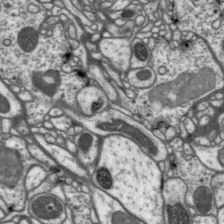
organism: Drosophila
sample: Protocerebral bridge